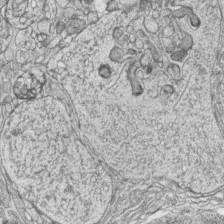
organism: Zebrafish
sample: synaptic ribbons in rod cells and cone cells